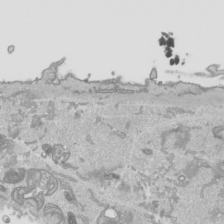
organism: Human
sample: Mitochondria in HCT116 cells